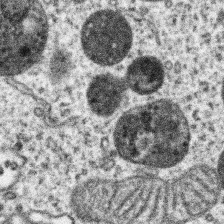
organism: Human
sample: HeLa cells